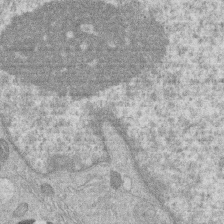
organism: Human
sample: Macrophage cells